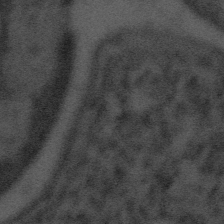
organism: Tuwongella immobilis